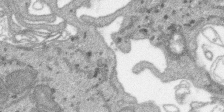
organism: Human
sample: Lung epithelial cells infected with SARS-CoV-2